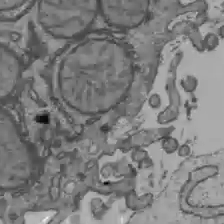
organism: C57BL Mouse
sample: Liver